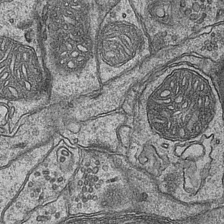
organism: Mouse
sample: CA1 Hippocampus